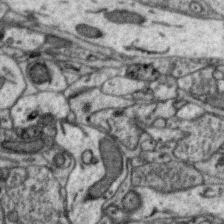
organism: Zebra finch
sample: Brain